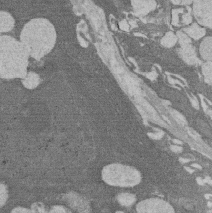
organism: Rat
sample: Salivary granule